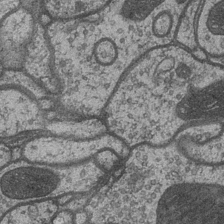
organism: Drosophila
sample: Optic medulla